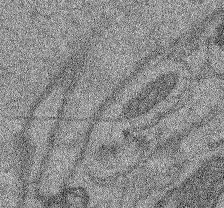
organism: Human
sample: HeLa cells